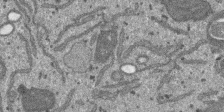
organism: Human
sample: Lung epithelial cells infected with SARS-CoV-2